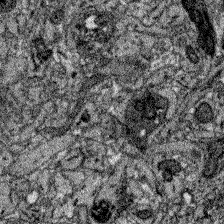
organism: Zebrafish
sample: Larval olfactory bulb